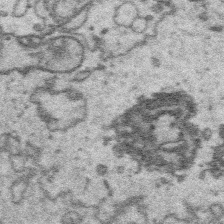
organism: Platynereis dumerilii